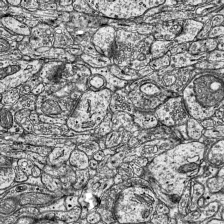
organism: Mouse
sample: Visual Cortex